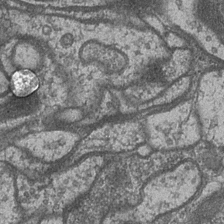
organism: Drosophila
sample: Optic medulla